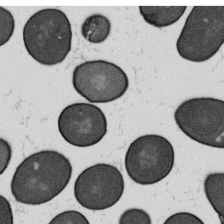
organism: B. subtilis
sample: Bacterial spore